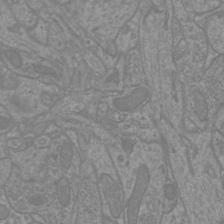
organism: Mouse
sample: Cortical neurons